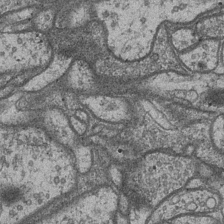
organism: Drosophila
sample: Optic medulla